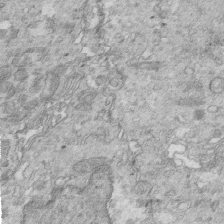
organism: Mouse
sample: Multiciliated cells